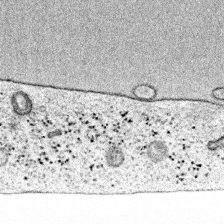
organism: Human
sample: HeLa cells